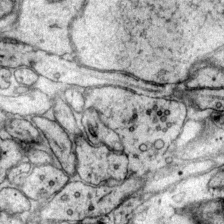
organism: Mouse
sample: Primary visual cortex